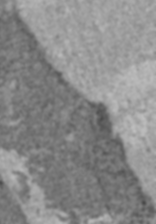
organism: C57BL Mouse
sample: Heart